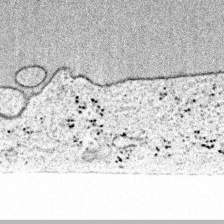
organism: Human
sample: HeLa cells